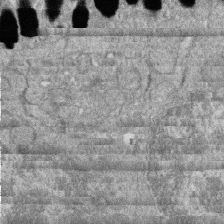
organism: Zebrafish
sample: Cilia; retinal pigment epithelium